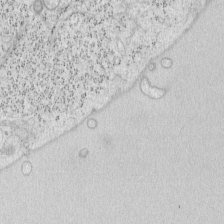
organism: Mouse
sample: OT-I killer T cells with ID8 ovarian cancer cells